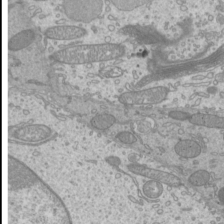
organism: Mouse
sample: Cilia; mouse epididymis